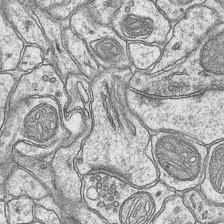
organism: Mouse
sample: CA1 Hippocampus